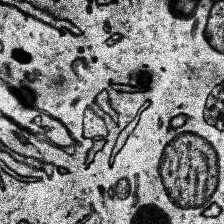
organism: Human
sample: Temporal Lobe